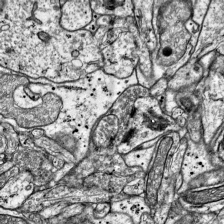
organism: Mouse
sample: Visual Cortex